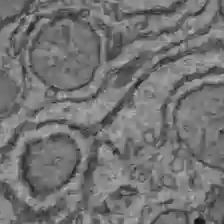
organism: C57BL Mouse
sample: Liver